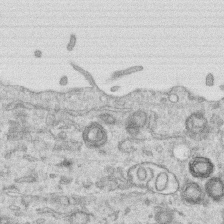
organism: Human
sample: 1205lu cells